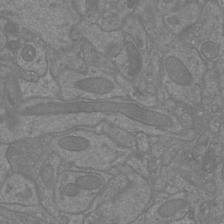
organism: Mouse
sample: Cortical neurons